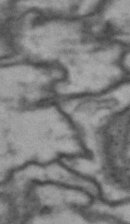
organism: Drosophila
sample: Brain